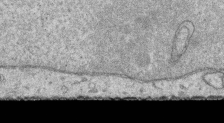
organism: Human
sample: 1205lu cells